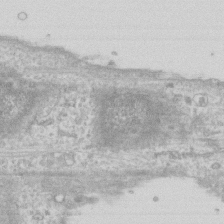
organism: Human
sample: Fibroblast cells